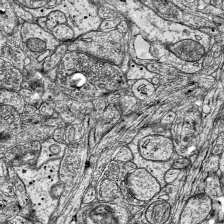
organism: Mouse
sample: Visual Cortex